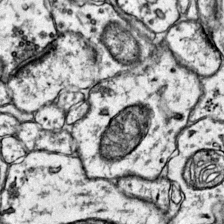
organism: Mouse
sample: Primary visual cortex